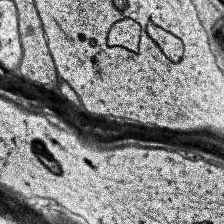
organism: Human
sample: Temporal Lobe